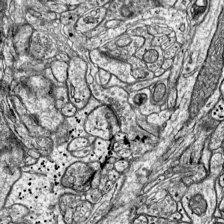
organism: Mouse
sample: Visual Cortex